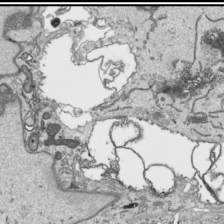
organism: Human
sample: Mitochondria in HCT116 cells